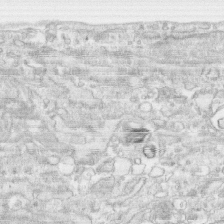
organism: Human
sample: CRL-1474